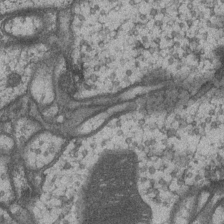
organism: Drosophila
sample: Optic medulla